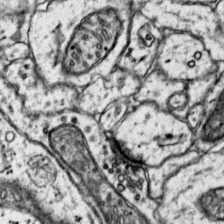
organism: Mouse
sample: Primary visual cortex